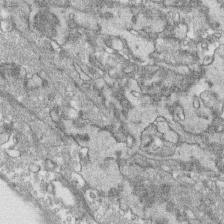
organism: Human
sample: CRL-1474